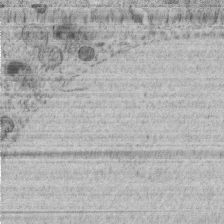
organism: C. elegans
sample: C. elegans embryo early stage